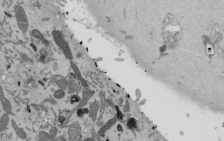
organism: Mouse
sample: ED-1 cell nuclei; centrioles